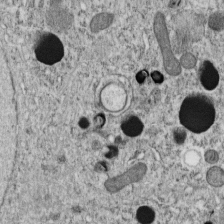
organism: C. elegans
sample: C. elegans embryo early stage